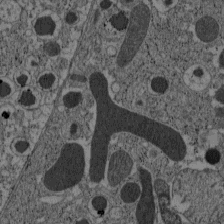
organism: C57BL Mouse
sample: Pancreatic islet